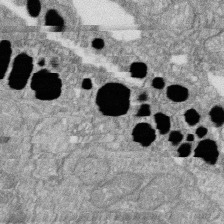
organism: Zebrafish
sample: Cilia; retinal pigment epithelium